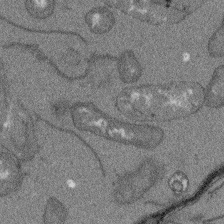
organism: Arabidopsis thaliana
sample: Root tip